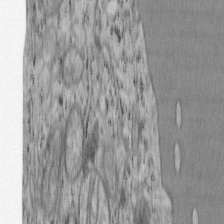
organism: Human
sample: HeLa cells